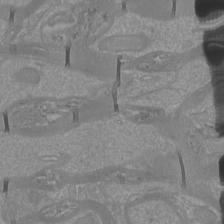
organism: Mouse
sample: Cortical neurons